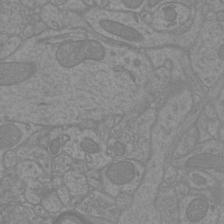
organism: Mouse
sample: Cortical neurons